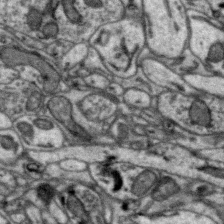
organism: Zebra finch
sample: Brain